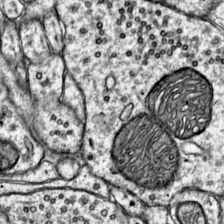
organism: Mouse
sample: Primary visual cortex